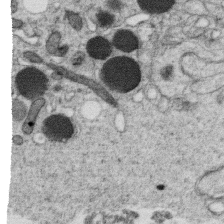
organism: C. elegans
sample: C. elegans oocyte; sperm cells